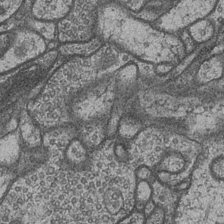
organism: Drosophila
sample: Optic medulla